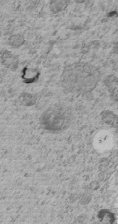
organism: C. elegans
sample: C. elegans embryo early stage